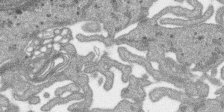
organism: Human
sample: Lung epithelial cells infected with SARS-CoV-2